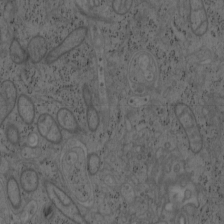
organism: Mouse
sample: OT-I killer T cells with ID8 ovarian cancer cells